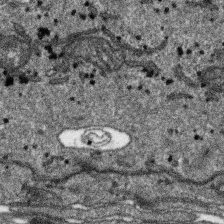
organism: Human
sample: Lung epithelial cells infected with SARS-CoV-2